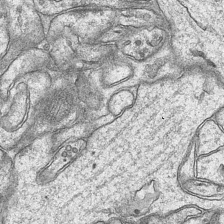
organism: Mouse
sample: CA1 Hippocampus